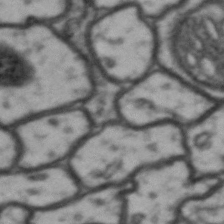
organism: Drosophila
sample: Brain